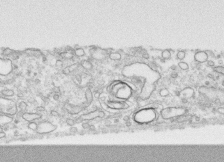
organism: Human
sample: CRL-1474